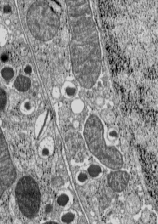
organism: C57BL Mouse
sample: Pancreatic islet